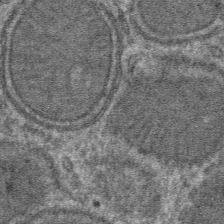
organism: Mouse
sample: Mouse hepatocytes